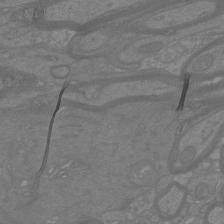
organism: Mouse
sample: Cortical neurons